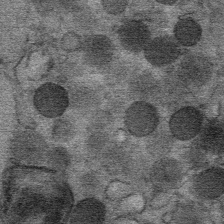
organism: Mouse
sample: Mouse Salivary gland